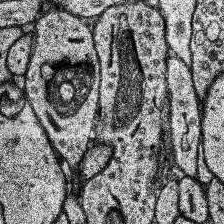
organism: Human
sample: Temporal Lobe